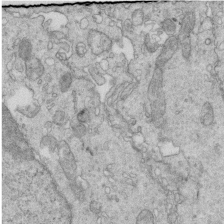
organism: Mouse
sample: Multiciliated cells